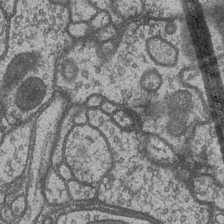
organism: Drosophila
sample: Optic medulla